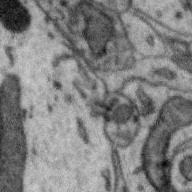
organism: Zebra finch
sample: Brain